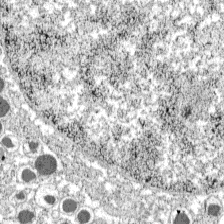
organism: C57BL Mouse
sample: Pancreatic islet